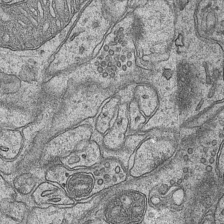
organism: Mouse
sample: CA1 Hippocampus